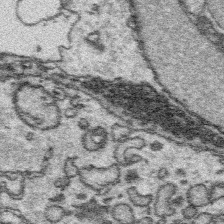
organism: Platynereis dumerilii